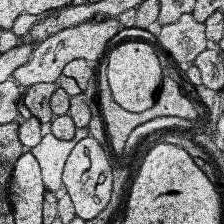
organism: Human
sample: Temporal Lobe